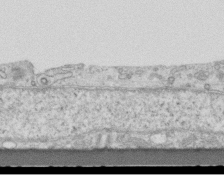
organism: Mouse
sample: Centriole in ependymal cells